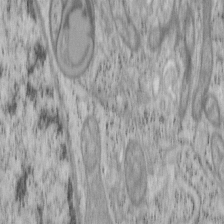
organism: Human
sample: HeLa cells